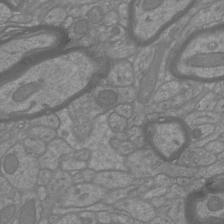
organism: Mouse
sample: Cortical neurons